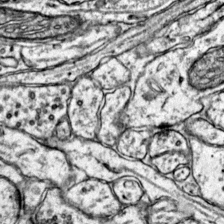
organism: Mouse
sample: Primary visual cortex